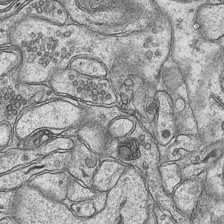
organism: Mouse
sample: CA1 Hippocampus